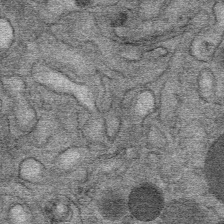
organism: Mouse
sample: Mouse Salivary gland